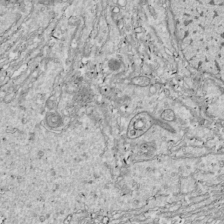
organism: Drosophila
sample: Cell division; meiosis; drosophila spermatocytes